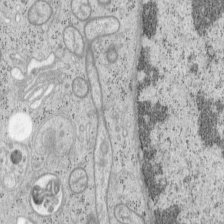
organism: Mouse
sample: OT-I killer T cells with ID8 ovarian cancer cells